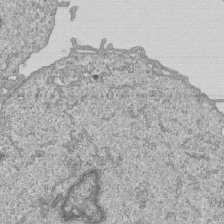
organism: Human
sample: MDA-MB-231 cells